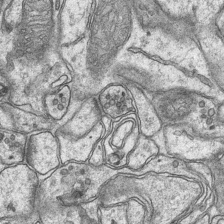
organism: Mouse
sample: CA1 Hippocampus